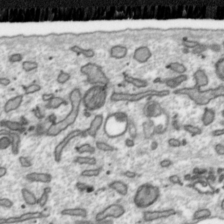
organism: Toxoplasma gondii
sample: Parasites in a vacuole inside a host cell